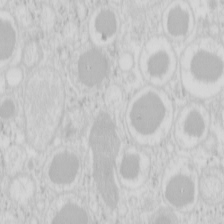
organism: Mouse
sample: Pancreas